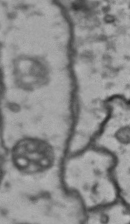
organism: Drosophila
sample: Brain